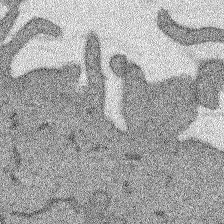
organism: Human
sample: HeLa cells